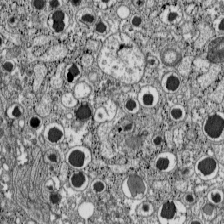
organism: C57BL Mouse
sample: Pancreatic islet